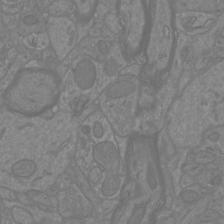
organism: Mouse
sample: Cortical neurons